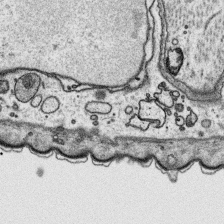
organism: Platynereis dumerilii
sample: Parapodia